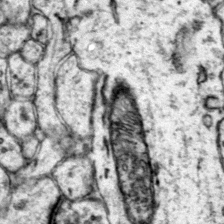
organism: Mouse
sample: Primary visual cortex